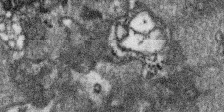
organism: Human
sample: Lung epithelial cells infected with SARS-CoV-2